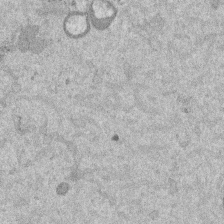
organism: Mouse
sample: Dividing mouse embryo 1 cell stage